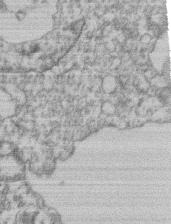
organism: Mouse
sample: T cell stromal cell synapse